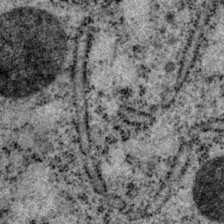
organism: P. pacificus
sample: Pharynx